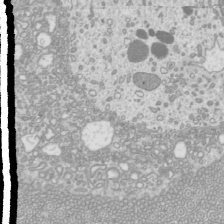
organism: Mouse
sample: Cilia; mouse epididymis